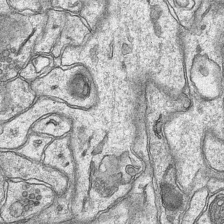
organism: Mouse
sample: CA1 Hippocampus